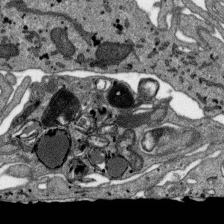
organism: Human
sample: Lung epithelial cells, uninfected (mock) control